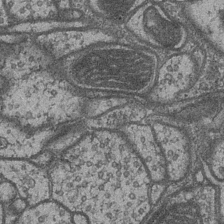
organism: Drosophila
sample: Optic medulla